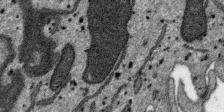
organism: Human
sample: Lung epithelial cells, uninfected (mock) control